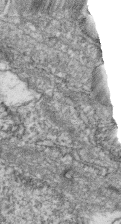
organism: Zebrafish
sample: Cilia; retinal pigment epithelium